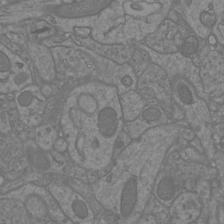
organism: Mouse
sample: Cortical neurons